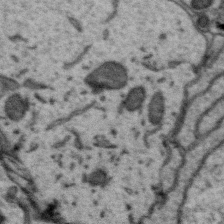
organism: Zebra finch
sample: Brain